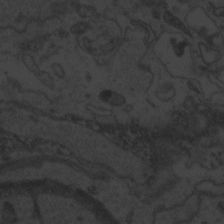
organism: Zebrafish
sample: Macrophage infected with Toxoplasma gondii